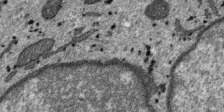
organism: Human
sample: Lung epithelial cells, uninfected (mock) control